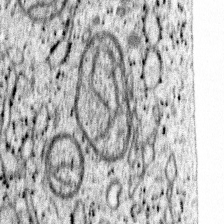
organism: Human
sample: HeLa cells